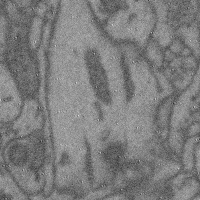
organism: Mouse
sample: Cerebral cortex